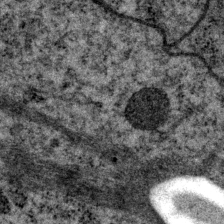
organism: P. pacificus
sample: Pharynx